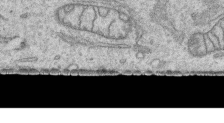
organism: Human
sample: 1205lu cells